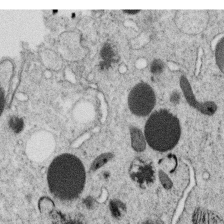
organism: C. elegans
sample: C. elegans oocyte; sperm cells